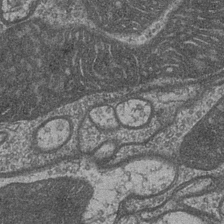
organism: Drosophila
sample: Optic medulla